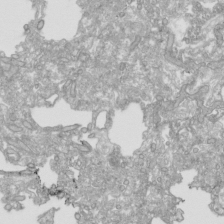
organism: Human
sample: Mitochondria in HCT116 cells